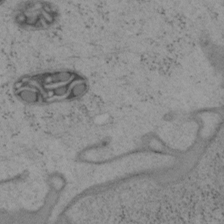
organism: Mouse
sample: OT-I killer T cells with ID8 ovarian cancer cells